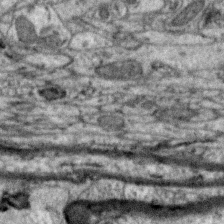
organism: Zebra finch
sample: Brain